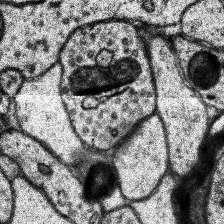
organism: Human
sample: Temporal Lobe